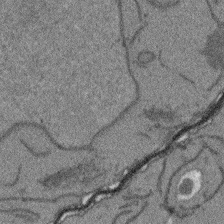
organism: Arabidopsis thaliana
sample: Root tip